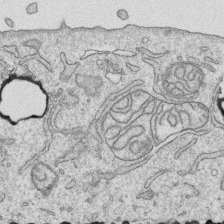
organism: Human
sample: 1205lu cells